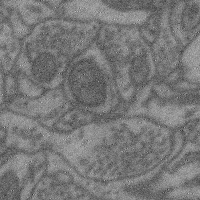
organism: Mouse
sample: Cerebral cortex